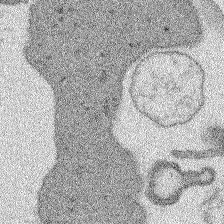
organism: Human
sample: HeLa cells